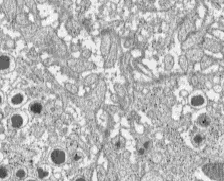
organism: C57BL Mouse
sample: Pancreatic islet